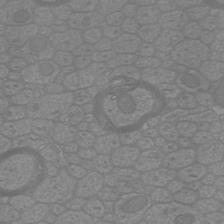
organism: Mouse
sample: Cortical neurons